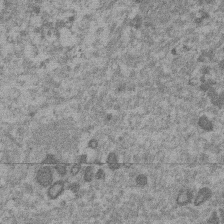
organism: Mouse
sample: Dividing mouse embryo 1 cell stage